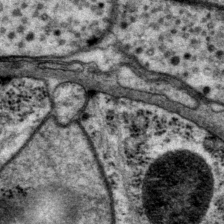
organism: P. pacificus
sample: Pharynx